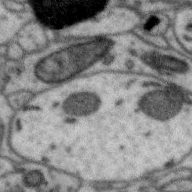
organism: Zebra finch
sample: Brain